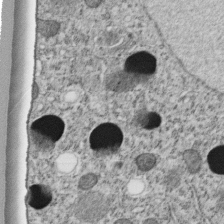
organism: C. elegans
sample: C. elegans embryo early stage